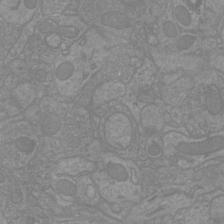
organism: Mouse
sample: Cortical neurons